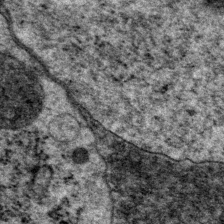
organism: P. pacificus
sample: Pharynx